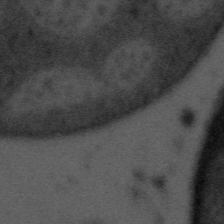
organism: Tuwongella immobilis